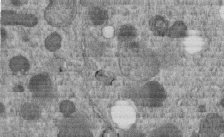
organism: C. elegans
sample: C. elegans embryo early stage